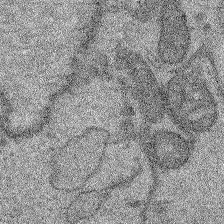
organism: Human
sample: HeLa cells